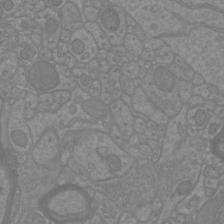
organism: Mouse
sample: Cortical neurons